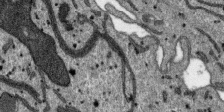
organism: Human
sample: Lung epithelial cells, uninfected (mock) control